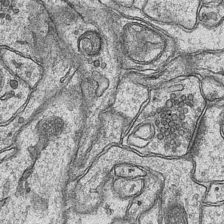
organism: Mouse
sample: CA1 Hippocampus